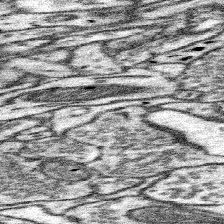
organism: Mouse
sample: Somatosensory cortex neuropil